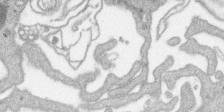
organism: Human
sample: Lung epithelial cells infected with SARS-CoV-2